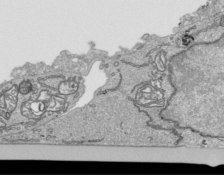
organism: Human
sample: Mitochondria in HCT116 cells